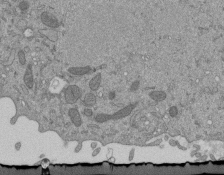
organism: Mouse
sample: ED-1 cell nuclei; centrioles